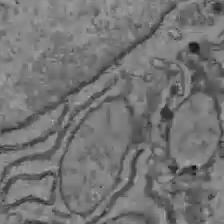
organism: C57BL Mouse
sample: Liver